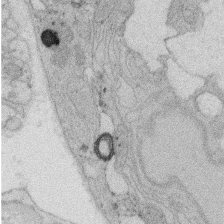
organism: Rat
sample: Salivary granule